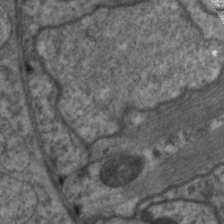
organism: C. elegans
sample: Pharynx